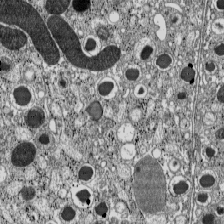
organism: C57BL Mouse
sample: Pancreatic islet